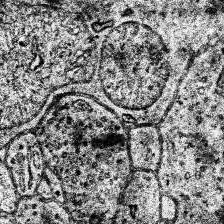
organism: Human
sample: Temporal Lobe